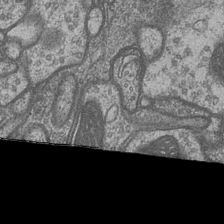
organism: Drosophila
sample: Optic medulla